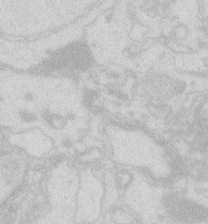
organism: Zebrafish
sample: Macrophage